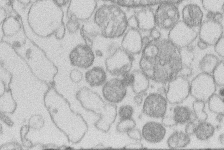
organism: Human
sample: Macrophage cells